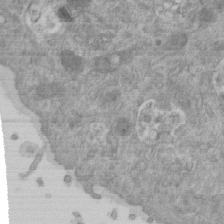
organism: Mouse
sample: ED-1 cell nuclei; centrioles